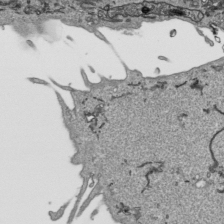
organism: Human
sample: Mitochondria in HCT116 cells